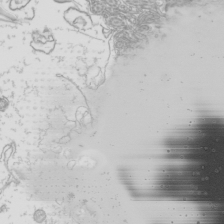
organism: Mouse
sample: Cilia; mouse epididymis